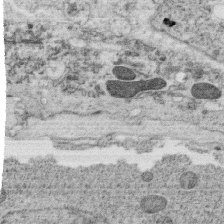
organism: C. elegans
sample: C. elegans oocyte; sperm cells